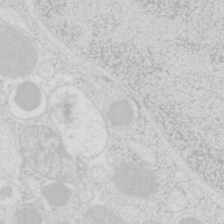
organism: Mouse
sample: Pancreas